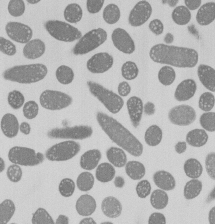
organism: E. coli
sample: Bacterial nucleoid